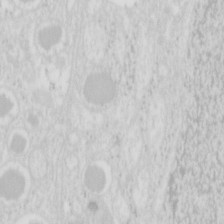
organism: Mouse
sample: Pancreas